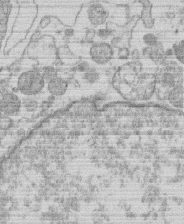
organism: Human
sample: Macrophage cells